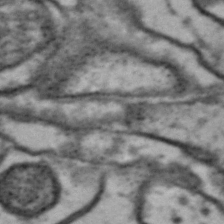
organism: Drosophila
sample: Brain